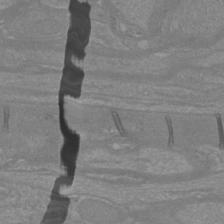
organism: Mouse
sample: Cortical neurons